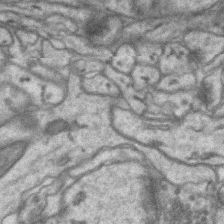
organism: Mouse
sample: CA1 Hippocampus